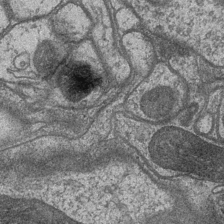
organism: Drosophila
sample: Optic medulla